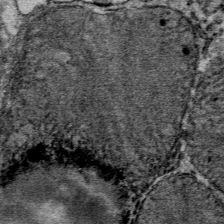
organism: Mouse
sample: Mouse Salivary gland